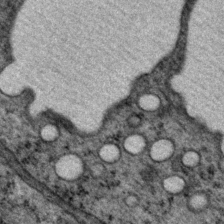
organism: P. pacificus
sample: Pharynx